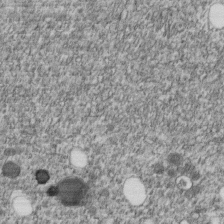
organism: C. elegans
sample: C. elegans embryo early stage